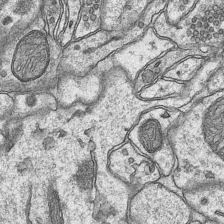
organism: Mouse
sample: CA1 Hippocampus